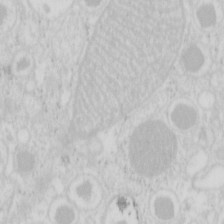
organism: Mouse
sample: Pancreas